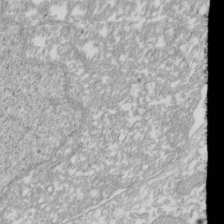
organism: Xenopus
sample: Cilia; centrioles in frog embryo cells